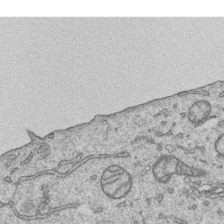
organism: Human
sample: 1205lu cells